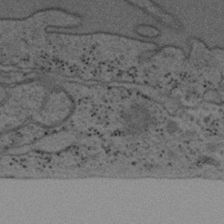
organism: Human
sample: HeLa cells